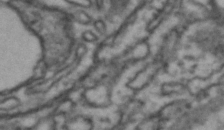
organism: Drosophila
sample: Brain